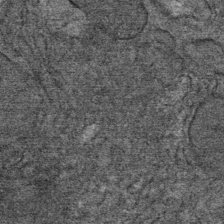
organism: Mouse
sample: Mouse Salivary gland